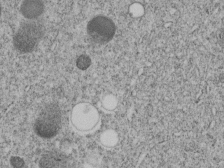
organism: C. elegans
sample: C. elegans embryo early stage